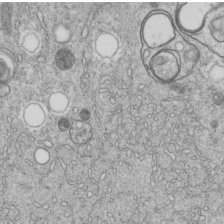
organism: C. elegans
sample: C. elegans embryo early stage